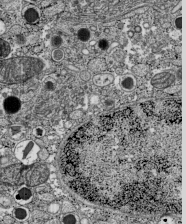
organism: C57BL Mouse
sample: Pancreatic islet